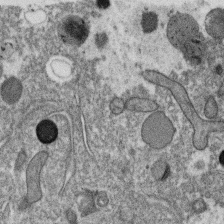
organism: C. elegans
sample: C. elegans oocyte; sperm cells